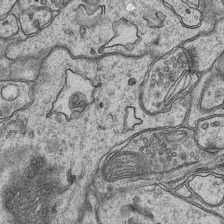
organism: Mouse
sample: CA1 Hippocampus